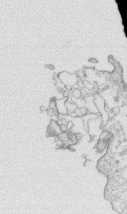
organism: Human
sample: HeLa cell HIV synapse